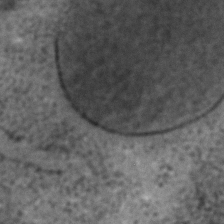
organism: C. elegans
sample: C. elegans embryo